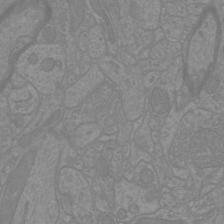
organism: Mouse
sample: Cortical neurons